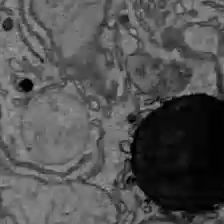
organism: C57BL Mouse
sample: Liver